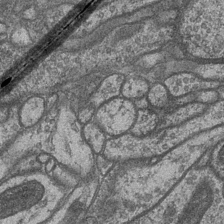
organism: Drosophila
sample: Optic medulla